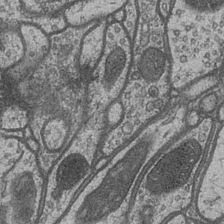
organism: Drosophila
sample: Optic medulla